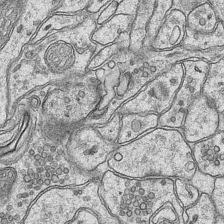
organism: Mouse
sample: CA1 Hippocampus